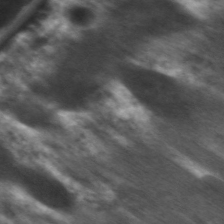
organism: C. elegans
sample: Pharynx